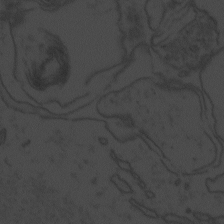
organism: Zebrafish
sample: Macrophage infected with Toxoplasma gondii